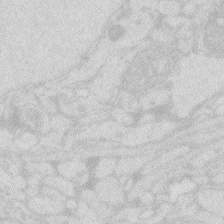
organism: Zebrafish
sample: Macrophage